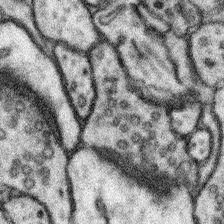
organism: Mouse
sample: Somatosensory cortex neuropil